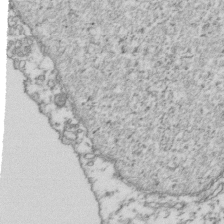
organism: Human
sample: Activated Jurkat CD4+ T cells